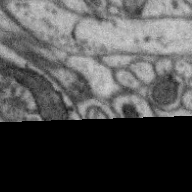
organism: Zebra finch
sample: Brain